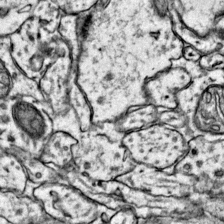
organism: Mouse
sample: Primary visual cortex